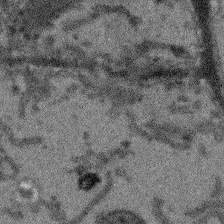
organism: Arabidopsis thaliana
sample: Root tip